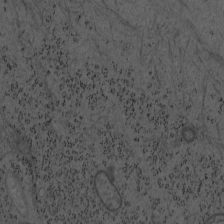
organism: Mouse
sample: OT-I killer T cells with ID8 ovarian cancer cells